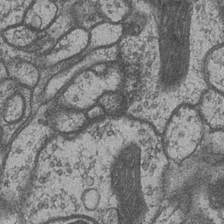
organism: Drosophila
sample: Optic medulla